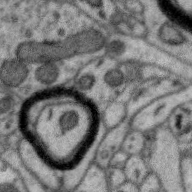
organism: Zebra finch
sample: Brain